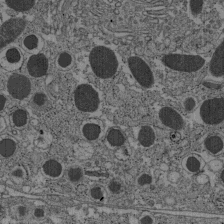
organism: C57BL Mouse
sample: Pancreatic islet